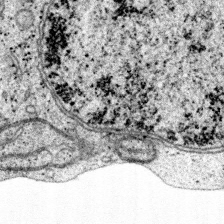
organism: Human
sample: HeLa cells